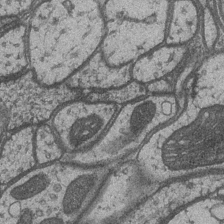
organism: Drosophila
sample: Optic medulla